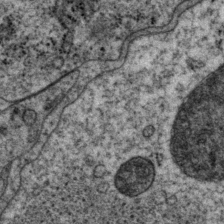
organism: P. pacificus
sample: Pharynx